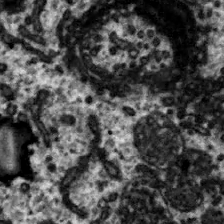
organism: Human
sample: HeLa cells